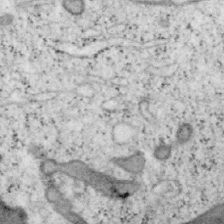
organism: Mouse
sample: OT-I killer T cells with ID8 ovarian cancer cells